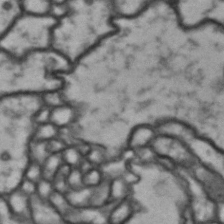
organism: Drosophila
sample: Brain